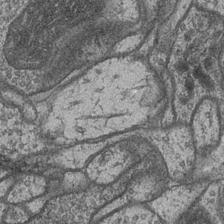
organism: Drosophila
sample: Optic medulla